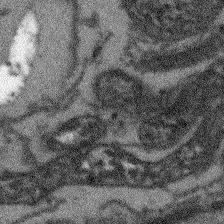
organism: Arabidopsis thaliana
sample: Root tip